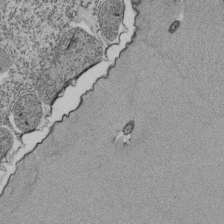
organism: Tetrahymena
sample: Cilia in tetrahymena